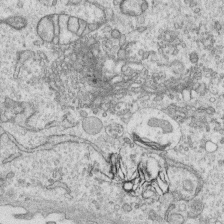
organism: Human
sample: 1205lu cells